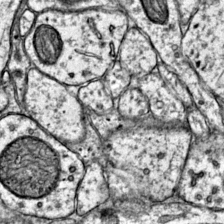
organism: Mouse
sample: Primary visual cortex